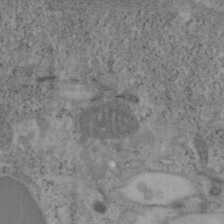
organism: Mouse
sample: OT-I killer T cells with ID8 ovarian cancer cells